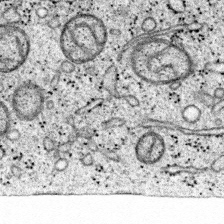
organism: Human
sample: HeLa cells